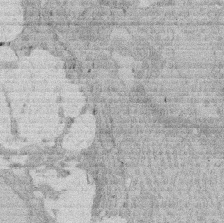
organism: Rat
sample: Salivary granule